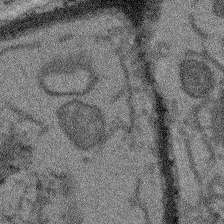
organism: Arabidopsis thaliana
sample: Root tip